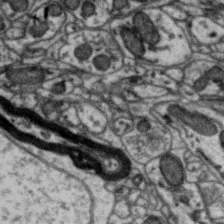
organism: Zebra finch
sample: Brain